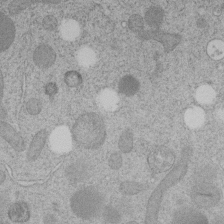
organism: C. elegans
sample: C. elegans embryo early stage